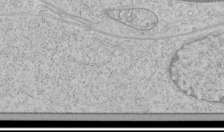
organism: Human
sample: Mitochondria in HCT116 cells